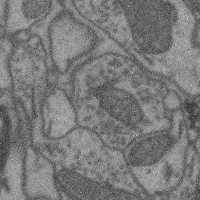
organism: Mouse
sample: Cerebral cortex